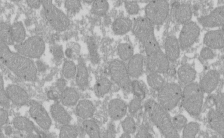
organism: Xenopus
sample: Cilia; centrioles in frog embryo cells